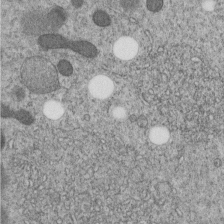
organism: C. elegans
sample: C. elegans embryo early stage